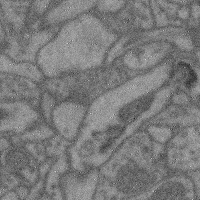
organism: Mouse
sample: Cerebral cortex